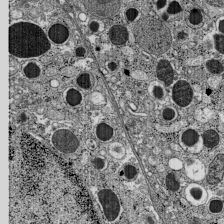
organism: C57BL Mouse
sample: Pancreatic islet